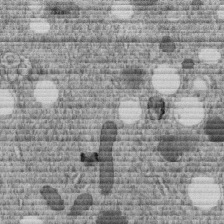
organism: C. elegans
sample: C. elegans embryo early stage